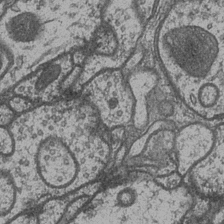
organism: Drosophila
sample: Optic medulla